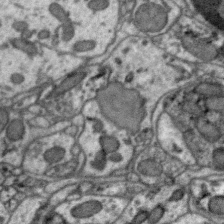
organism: Zebra finch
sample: Brain